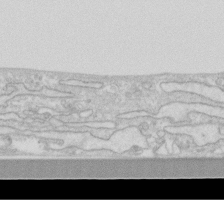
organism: Human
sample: Fibroblast cells